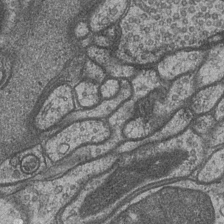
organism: Drosophila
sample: Optic medulla